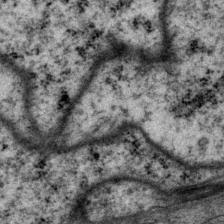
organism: P. pacificus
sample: Pharynx